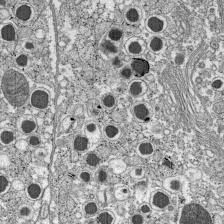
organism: C57BL Mouse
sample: Pancreatic islet